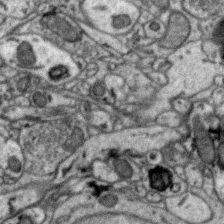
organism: Zebra finch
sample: Brain